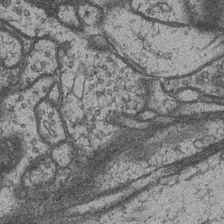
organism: Drosophila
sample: Optic medulla